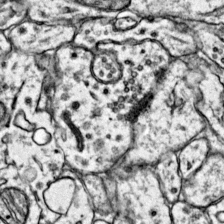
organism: Mouse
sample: Primary visual cortex